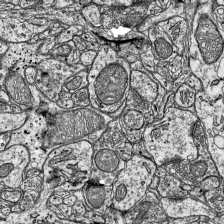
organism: Mouse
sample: Visual Cortex